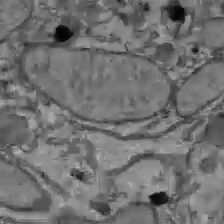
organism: C57BL Mouse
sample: Liver